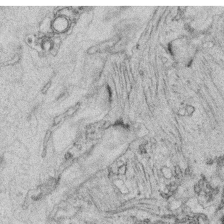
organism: C. elegans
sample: C. elegans oocyte; sperm cells